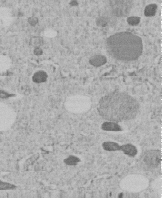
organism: C. elegans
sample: C. elegans embryo early stage